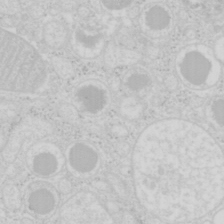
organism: Mouse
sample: Pancreas